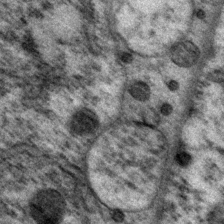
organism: P. pacificus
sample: Pharynx